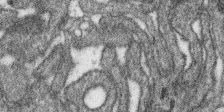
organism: Human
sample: Lung epithelial cells infected with SARS-CoV-2